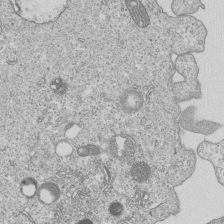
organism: Human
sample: MDA-MB-231 cells